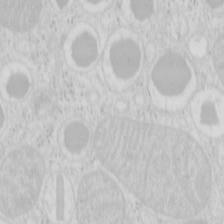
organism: Mouse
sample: Pancreas